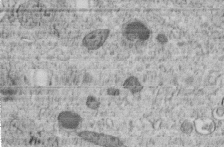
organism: C. elegans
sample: C. elegans embryo early stage